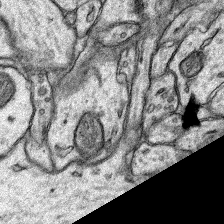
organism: Rat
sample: Hippocampus